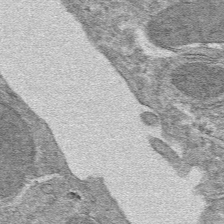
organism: Mouse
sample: Mouse hepatocytes